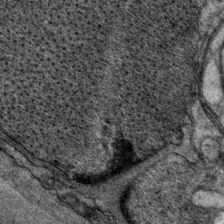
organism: P. pacificus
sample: Pharynx